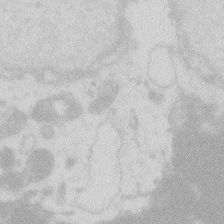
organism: Zebrafish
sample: Macrophage